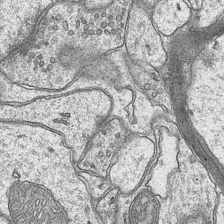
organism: Mouse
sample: CA1 Hippocampus